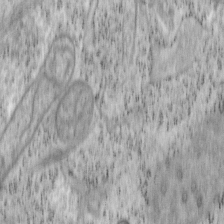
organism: Human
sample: HeLa cells